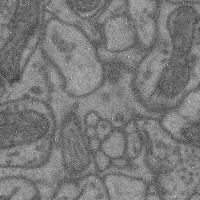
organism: Mouse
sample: Cerebral cortex